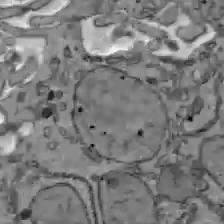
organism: C57BL Mouse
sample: Liver